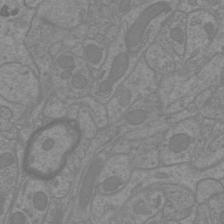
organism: Mouse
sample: Cortical neurons